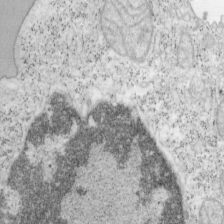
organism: Mouse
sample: OT-I killer T cells with ID8 ovarian cancer cells